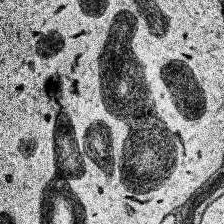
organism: Human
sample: Temporal Lobe